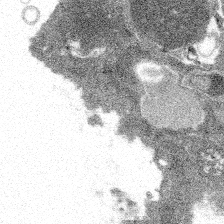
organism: Spongilla lacustris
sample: Multiple